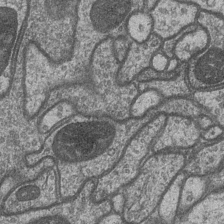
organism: Drosophila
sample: Optic medulla